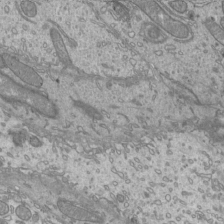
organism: Mouse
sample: Cilia; mouse epididymis